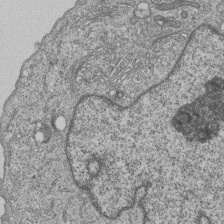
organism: Human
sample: MDA-MB-231 cells